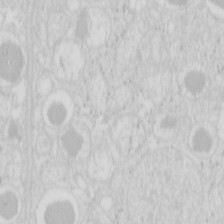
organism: Mouse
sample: Pancreas